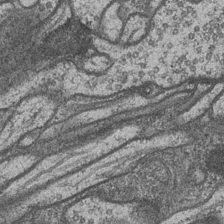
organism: Drosophila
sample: Optic medulla